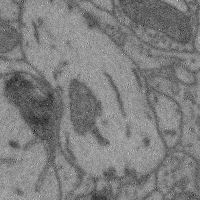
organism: Mouse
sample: Cerebral cortex